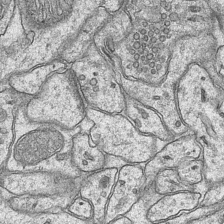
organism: Mouse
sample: CA1 Hippocampus